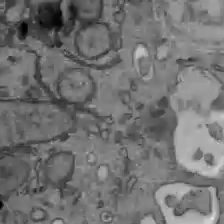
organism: C57BL Mouse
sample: Liver